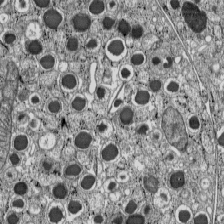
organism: C57BL Mouse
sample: Pancreatic islet